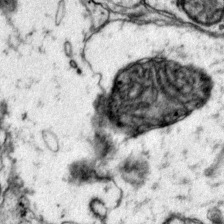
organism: Mouse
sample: Primary visual cortex